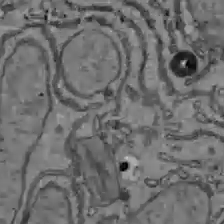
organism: C57BL Mouse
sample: Liver